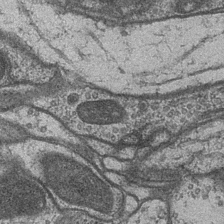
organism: Drosophila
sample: Optic medulla